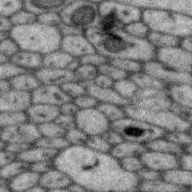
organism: Zebra finch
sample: Brain